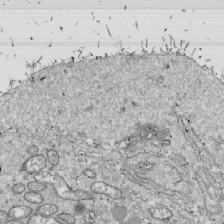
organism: Drosophila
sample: Cell division; meiosis; drosophila spermatocytes